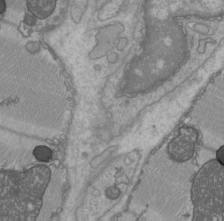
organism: C57BL Mouse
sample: Heart